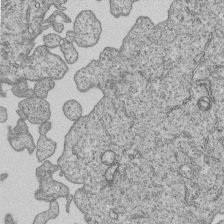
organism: Human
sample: MDA-MB-231 cells